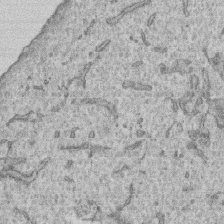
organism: Human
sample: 1205lu cells